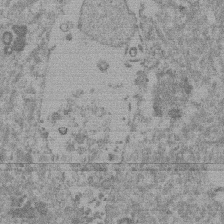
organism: Mouse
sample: Dividing mouse embryo 1 cell stage